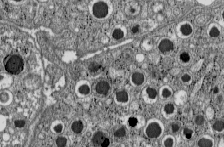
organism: C57BL Mouse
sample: Pancreatic islet